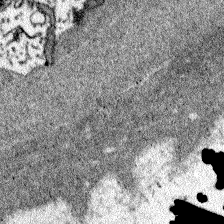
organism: Zebrafish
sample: Larval olfactory bulb